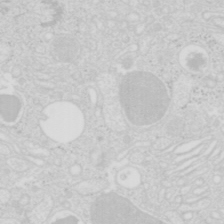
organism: Mouse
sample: Pancreas